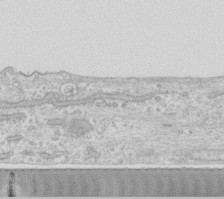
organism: Human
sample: Fibroblast cells